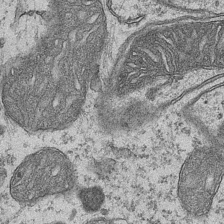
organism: Mouse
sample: CA1 Hippocampus